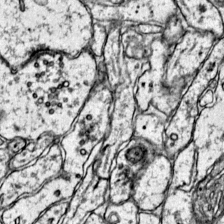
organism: Mouse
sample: Primary visual cortex